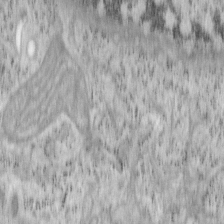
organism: Human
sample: HeLa cells